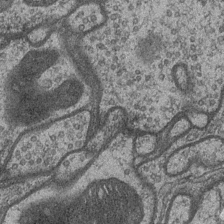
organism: Drosophila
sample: Optic medulla